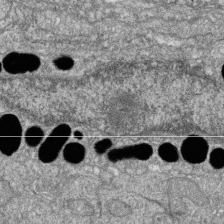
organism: Zebrafish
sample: Cilia; retinal pigment epithelium